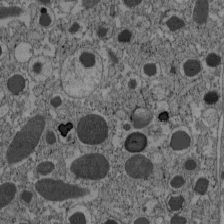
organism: C57BL Mouse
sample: Pancreatic islet